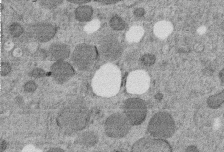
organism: C. elegans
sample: C. elegans embryo early stage